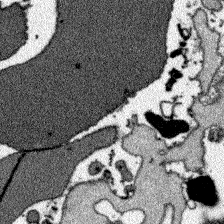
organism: Zebrafish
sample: Larval olfactory bulb